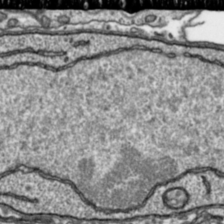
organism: Toxoplasma gondii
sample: Parasites in a vacuole inside a host cell